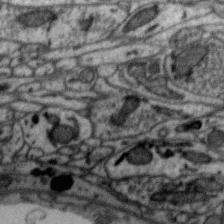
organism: Zebra finch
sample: Brain